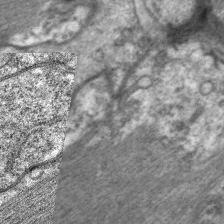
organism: C. elegans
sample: Pharynx